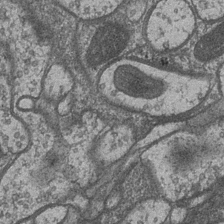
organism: Drosophila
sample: Optic medulla